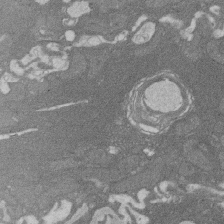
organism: Rat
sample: Salivary granule